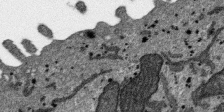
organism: Human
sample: Lung epithelial cells, uninfected (mock) control